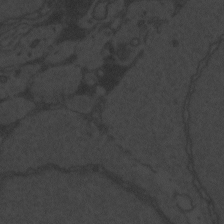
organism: Zebrafish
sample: Macrophage infected with Toxoplasma gondii